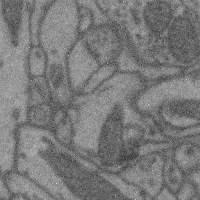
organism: Mouse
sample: Cerebral cortex